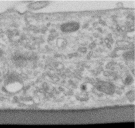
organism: Human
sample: Centriole in RPE cells